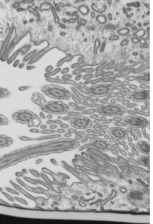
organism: Mouse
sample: Mouse epididymis efferent ductule cilia